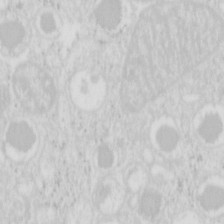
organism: Mouse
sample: Pancreas